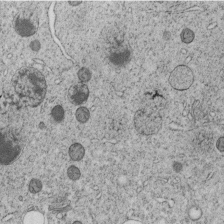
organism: C. elegans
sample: C. elegans embryo early stage